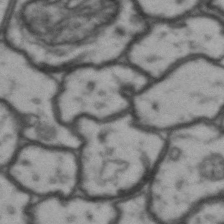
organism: Drosophila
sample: Brain